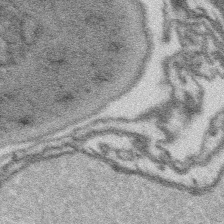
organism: Platynereis dumerilii